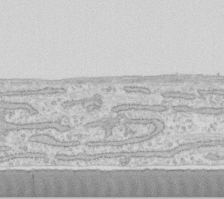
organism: Human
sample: Fibroblast cells